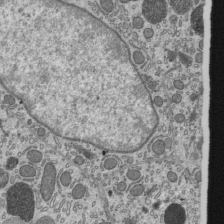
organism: Mouse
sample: Mouse epididymis efferent ductule cilia